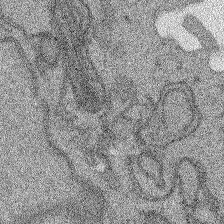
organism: Human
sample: HeLa cells